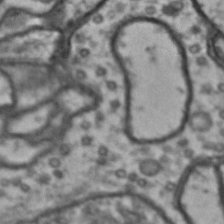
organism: Drosophila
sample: Brain